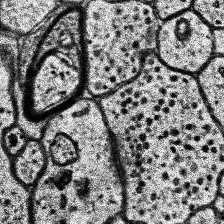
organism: Human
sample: Temporal Lobe